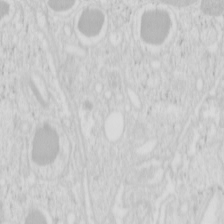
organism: Mouse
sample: Pancreas